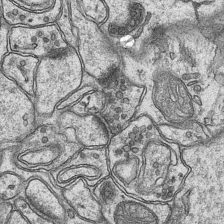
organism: Mouse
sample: CA1 Hippocampus